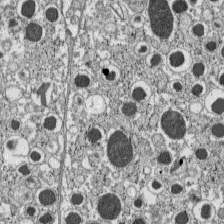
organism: C57BL Mouse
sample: Pancreatic islet